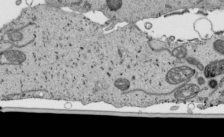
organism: Human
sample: Mitochondria in HCT116 cells